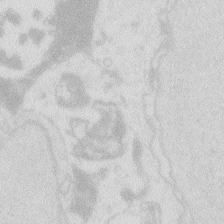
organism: Zebrafish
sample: Macrophage